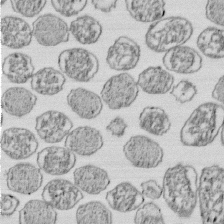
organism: E. coli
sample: Bacterial nucleoid